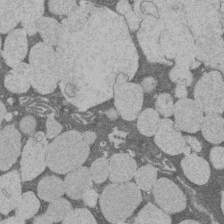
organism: Rat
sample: Salivary granule